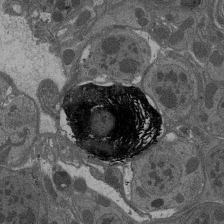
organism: Drosophila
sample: Antenna